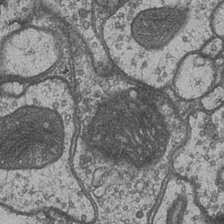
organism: Drosophila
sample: Optic medulla